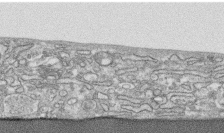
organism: Human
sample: CRL-1474